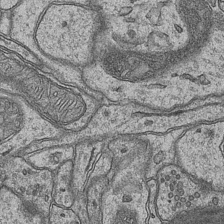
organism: Mouse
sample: CA1 Hippocampus